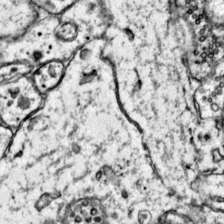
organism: Mouse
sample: Primary visual cortex